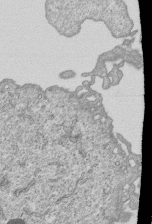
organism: Human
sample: MDA-MB-231 cells